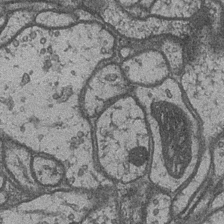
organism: Drosophila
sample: Optic medulla